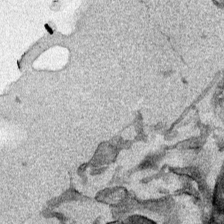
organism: Mouse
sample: Cancer cell death in ED-1 cells